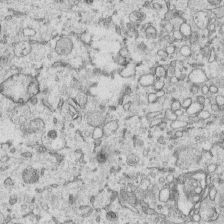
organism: Human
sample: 1205lu cells